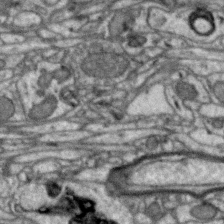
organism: Zebra finch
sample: Brain